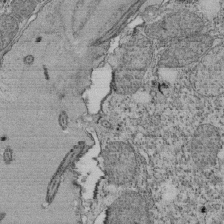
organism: Tetrahymena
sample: Cilia in tetrahymena